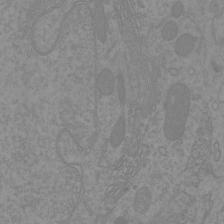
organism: Mouse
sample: Cortical neurons